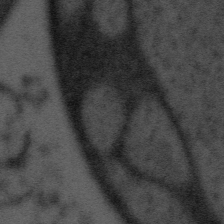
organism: Tuwongella immobilis